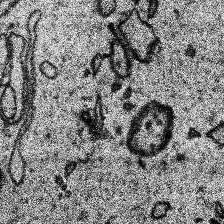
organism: Human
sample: Temporal Lobe